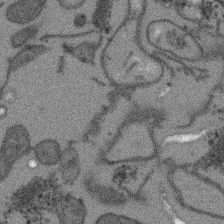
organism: Arabidopsis thaliana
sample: Root tip